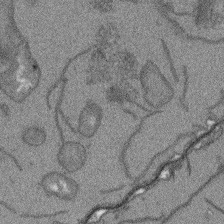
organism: Arabidopsis thaliana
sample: Root tip